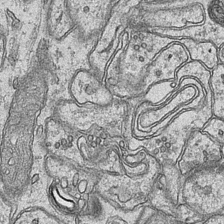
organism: Mouse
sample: CA1 Hippocampus